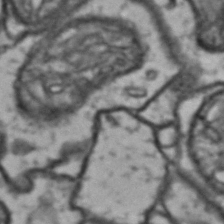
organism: Drosophila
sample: Brain